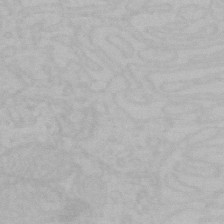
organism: Mouse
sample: Choroid plexus